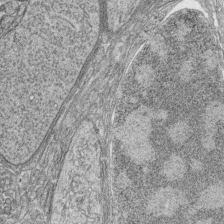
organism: Zebrafish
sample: synaptic ribbons in rod cells and cone cells